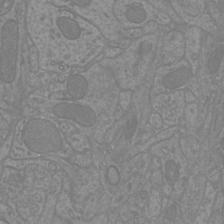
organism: Mouse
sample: Cortical neurons